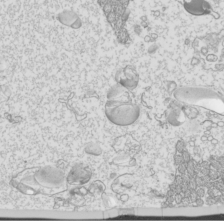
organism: Mouse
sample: Cilia; mouse epididymis